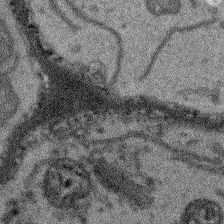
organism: Arabidopsis thaliana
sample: Root tip